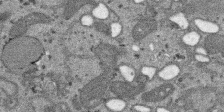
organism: Human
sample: Lung epithelial cells infected with SARS-CoV-2